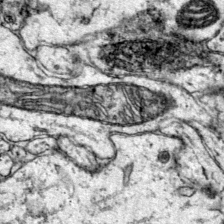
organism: Mouse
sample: Primary visual cortex